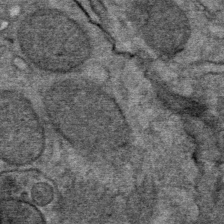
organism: Mouse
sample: Mouse Salivary gland